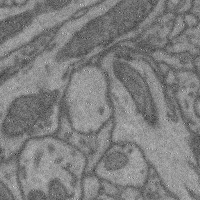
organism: Mouse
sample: Cerebral cortex